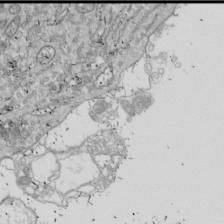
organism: Drosophila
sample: Cell division; meiosis; drosophila spermatocytes